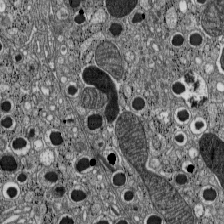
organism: C57BL Mouse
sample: Pancreatic islet